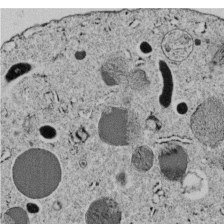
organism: C. elegans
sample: C. elegans embryo early stage